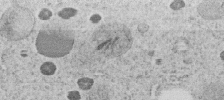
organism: C. elegans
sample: C. elegans embryo early stage